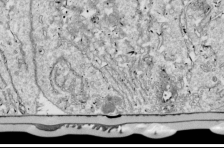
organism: Drosophila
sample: Cell division; meiosis; drosophila spermatocytes